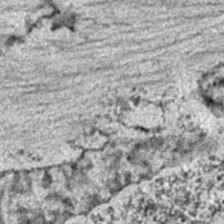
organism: C. elegans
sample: C. elegans embryo